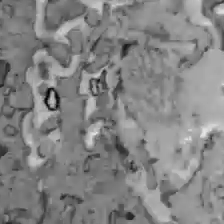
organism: C57BL Mouse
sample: Liver